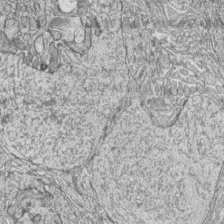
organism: Zebrafish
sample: synaptic ribbons in rod cells and cone cells